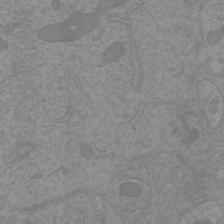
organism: Mouse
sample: Cortical neurons